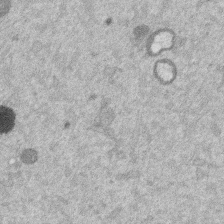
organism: Mouse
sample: Dividing mouse embryo 1 cell stage